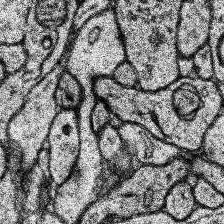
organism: Human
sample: Temporal Lobe